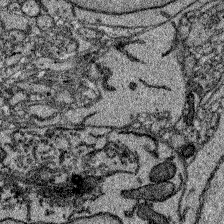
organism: Zebrafish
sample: Larval olfactory bulb